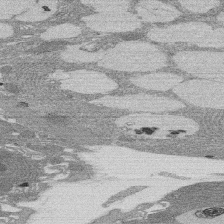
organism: Rat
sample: Salivary granule